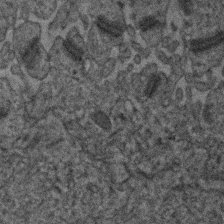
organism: Human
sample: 1205lu cells